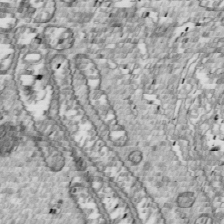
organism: Drosophila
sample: Cell division; meiosis; drosophila spermatocytes